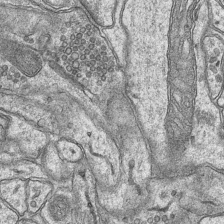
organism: Mouse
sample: CA1 Hippocampus